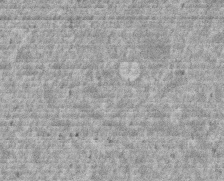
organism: Mouse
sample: Dividing mouse embryo 1 cell stage